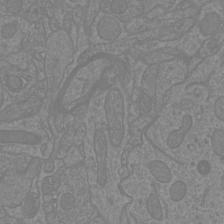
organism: Mouse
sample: Cortical neurons